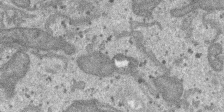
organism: Human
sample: Lung epithelial cells infected with SARS-CoV-2